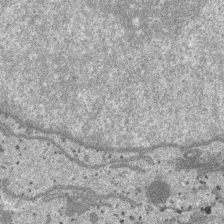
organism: Human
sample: Lung epithelial cells infected with SARS-CoV-2